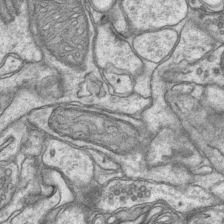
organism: Mouse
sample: CA1 Hippocampus